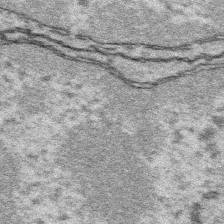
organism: Platynereis dumerilii